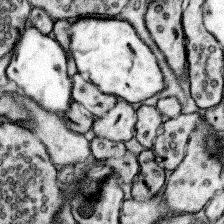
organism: Mouse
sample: Somatosensory cortex neuropil